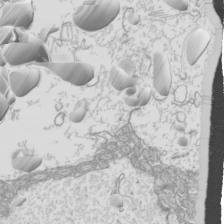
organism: Mouse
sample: Cilia; mouse epididymis